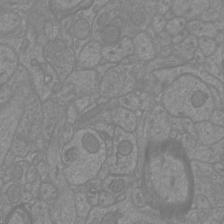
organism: Mouse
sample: Cortical neurons